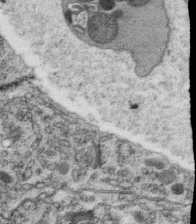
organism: C. elegans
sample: C. elegans oocyte; sperm cells